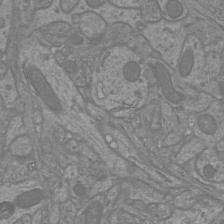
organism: Mouse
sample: Cortical neurons